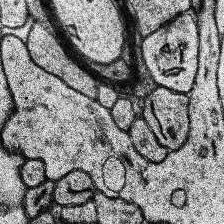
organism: Human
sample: Temporal Lobe